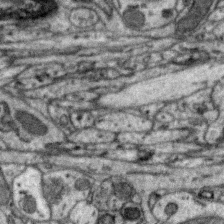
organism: Zebra finch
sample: Brain